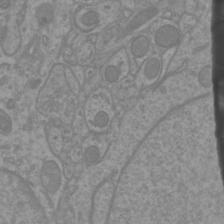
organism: Mouse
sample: Cortical neurons